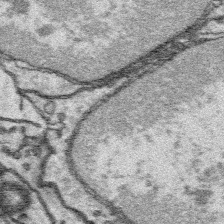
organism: Platynereis dumerilii